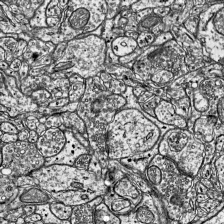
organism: Mouse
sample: Visual Cortex